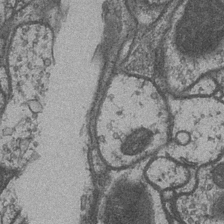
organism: Drosophila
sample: Optic medulla